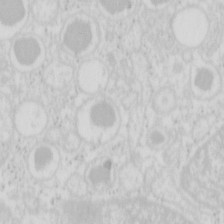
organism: Mouse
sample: Pancreas